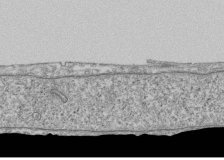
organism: Human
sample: Fibroblast cells